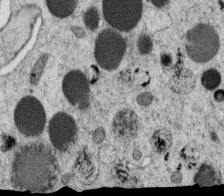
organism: C. elegans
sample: C. elegans oocyte; sperm cells